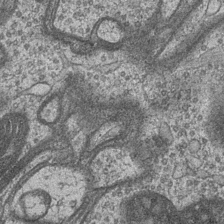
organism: Drosophila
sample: Optic medulla